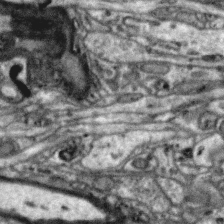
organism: Zebra finch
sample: Brain